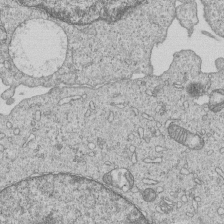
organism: Human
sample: MDA-MB-231 cells